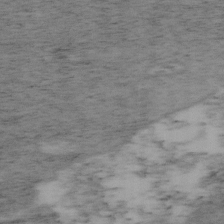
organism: Mouse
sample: OT-I killer T cells with ID8 ovarian cancer cells